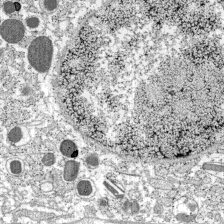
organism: C57BL Mouse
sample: Pancreatic islet